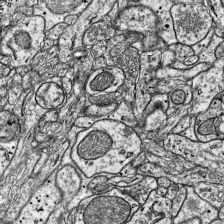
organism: Mouse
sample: Visual Cortex